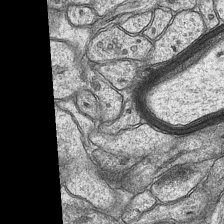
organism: Mouse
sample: CA1 Hippocampus